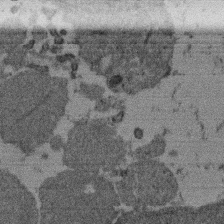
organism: Mouse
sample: Dividing mouse embryo 1 cell stage